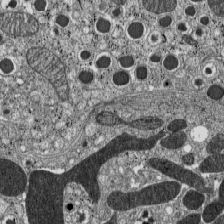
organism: C57BL Mouse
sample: Pancreatic islet